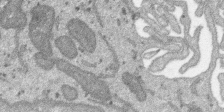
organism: Human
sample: Lung epithelial cells infected with SARS-CoV-2